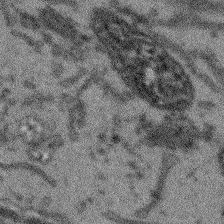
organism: Arabidopsis thaliana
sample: Root tip